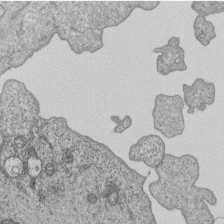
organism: Human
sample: MDA-MB-231 cells